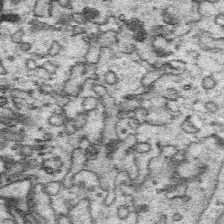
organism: Platynereis dumerilii